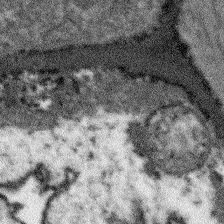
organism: Arabidopsis thaliana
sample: Root tip